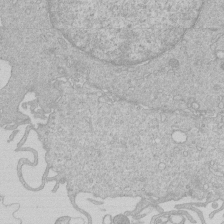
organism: Human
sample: Macrophage cells